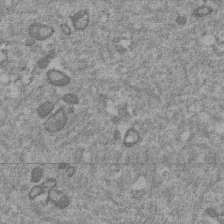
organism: Mouse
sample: Dividing mouse embryo 1 cell stage